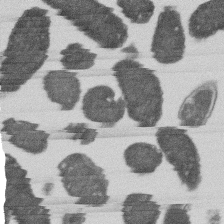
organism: E. coli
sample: Bacterial nucleoid